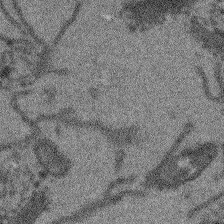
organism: Arabidopsis thaliana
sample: Root tip